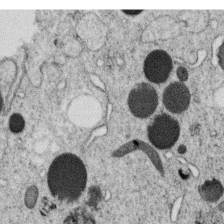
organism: C. elegans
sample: C. elegans oocyte; sperm cells